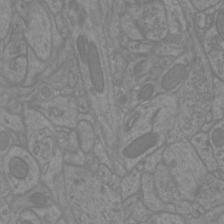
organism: Mouse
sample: Cortical neurons